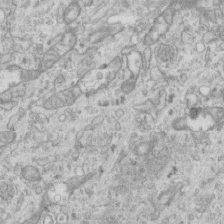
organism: Mouse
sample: Centriole in ependymal cells